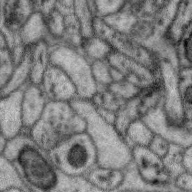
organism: Zebra finch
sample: Brain